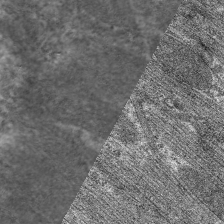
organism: C. elegans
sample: Pharynx